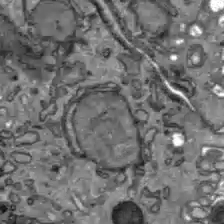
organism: C57BL Mouse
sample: Liver